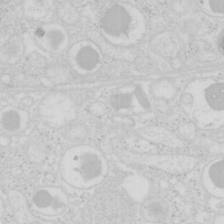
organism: Mouse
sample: Pancreas